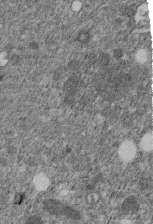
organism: C. elegans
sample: C. elegans embryo early stage